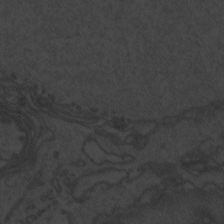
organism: Zebrafish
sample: Macrophage infected with Toxoplasma gondii